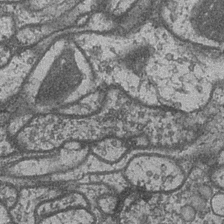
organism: Drosophila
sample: Optic medulla